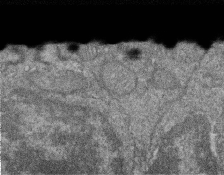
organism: Zebrafish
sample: Cilia; retinal pigment epithelium